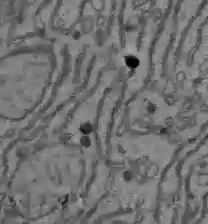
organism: C57BL Mouse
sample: Liver